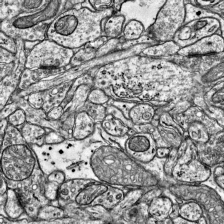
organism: Mouse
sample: Visual Cortex